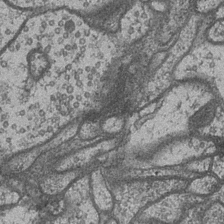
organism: Drosophila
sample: Optic medulla